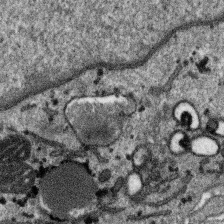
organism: Human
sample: Lung epithelial cells infected with SARS-CoV-2